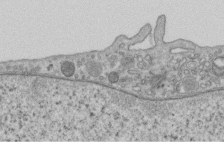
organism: Human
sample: Centriole in RPE cells